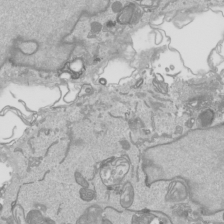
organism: Human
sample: Mitochondria in HCT116 cells